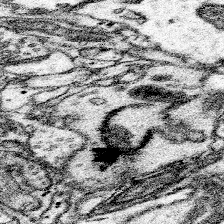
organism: Mouse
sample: Somatosensory cortex neuropil